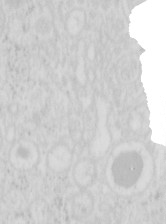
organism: Mouse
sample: Pancreas